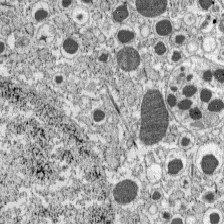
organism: C57BL Mouse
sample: Pancreatic islet